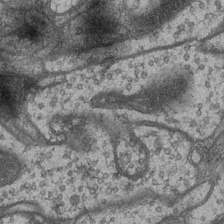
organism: Drosophila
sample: Optic medulla